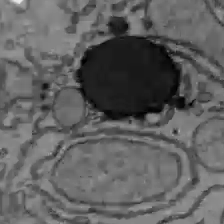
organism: C57BL Mouse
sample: Liver